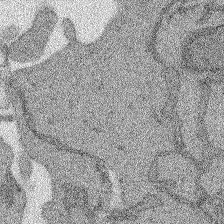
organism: Human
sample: HeLa cells